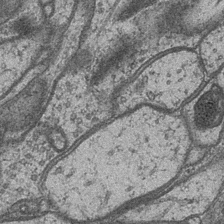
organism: Drosophila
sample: Optic medulla